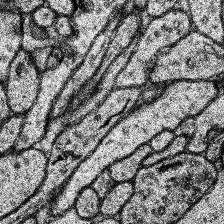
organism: Human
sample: Temporal Lobe